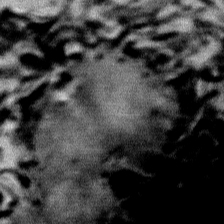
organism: Mouse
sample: Mouse Salivary gland